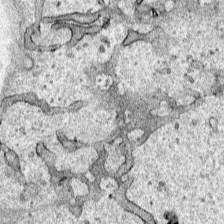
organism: Human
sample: Mitochondria in HCT116 cells